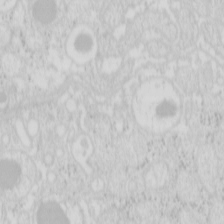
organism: Mouse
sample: Pancreas